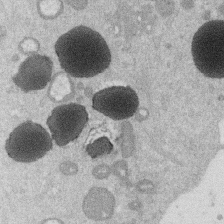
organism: Mouse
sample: Dividing mouse embryo 1 cell stage